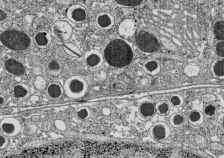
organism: C57BL Mouse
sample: Pancreatic islet